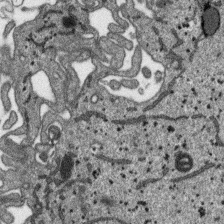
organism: Human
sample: Lung epithelial cells infected with SARS-CoV-2